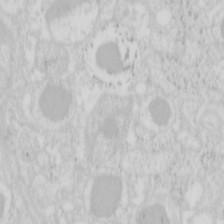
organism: Mouse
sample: Pancreas